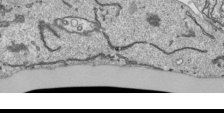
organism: Human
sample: Mitochondria in HCT116 cells